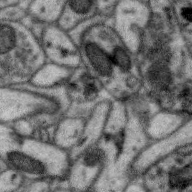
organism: Zebra finch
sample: Brain